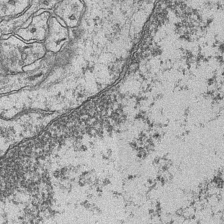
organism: Mouse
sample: CA1 Hippocampus